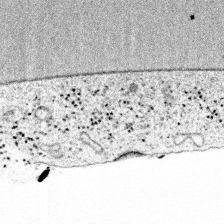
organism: Human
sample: HeLa cells